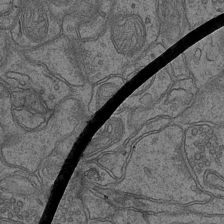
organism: Mouse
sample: CA1 Hippocampus